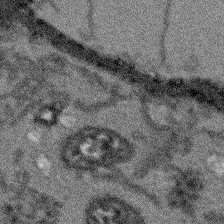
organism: Arabidopsis thaliana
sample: Root tip